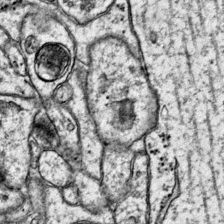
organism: Mouse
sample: Primary visual cortex